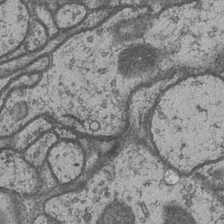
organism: Drosophila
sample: Optic medulla